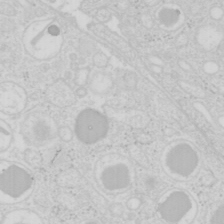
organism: Mouse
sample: Pancreas